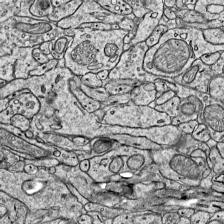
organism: Mouse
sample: Visual Cortex